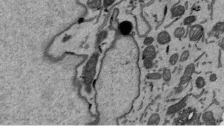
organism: Mouse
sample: ED-1 cell nuclei; centrioles